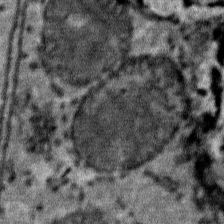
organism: Mouse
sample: Mouse Salivary gland